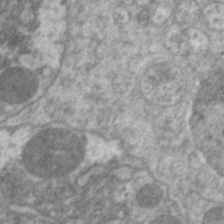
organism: C. elegans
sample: Pharynx